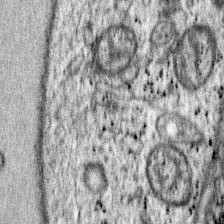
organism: Human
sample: HeLa cells